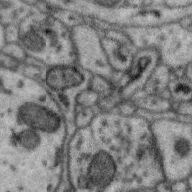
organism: Zebra finch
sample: Brain